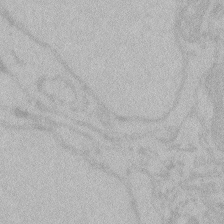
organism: Zebrafish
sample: Macrophage infected with Toxoplasma gondii